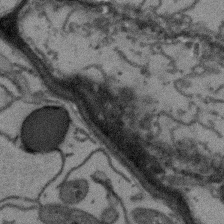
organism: Arabidopsis thaliana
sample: Root tip